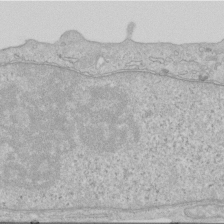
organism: Human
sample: Centriole in RPE cells